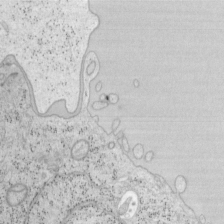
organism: Mouse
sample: OT-I killer T cells with ID8 ovarian cancer cells